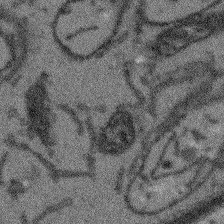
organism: Arabidopsis thaliana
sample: Root tip